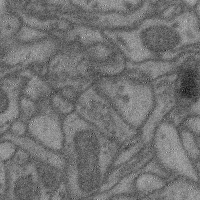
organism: Mouse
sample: Cerebral cortex